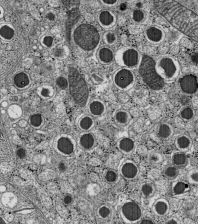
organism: C57BL Mouse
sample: Pancreatic islet